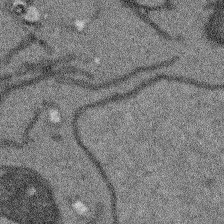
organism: Arabidopsis thaliana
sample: Root tip